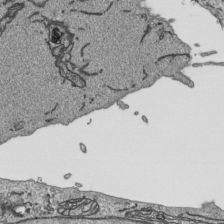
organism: Human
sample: Mitochondria in HCT116 cells